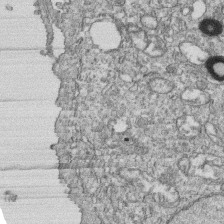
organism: Human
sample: HeLa cell HIV synapse